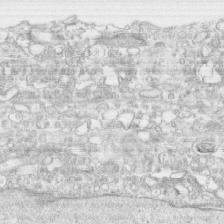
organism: Human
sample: CRL-1474